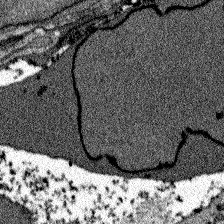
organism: Zebrafish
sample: Larval olfactory bulb